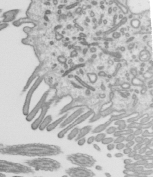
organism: Mouse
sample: Mouse epididymis efferent ductule cilia